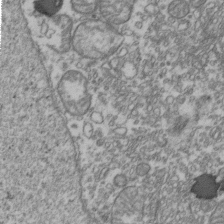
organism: Human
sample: Activated Jurkat CD4+ T cells